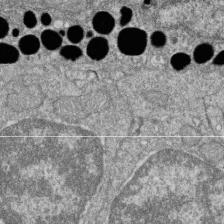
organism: Zebrafish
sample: Cilia; retinal pigment epithelium